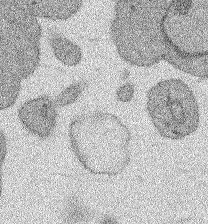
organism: Human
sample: HeLa cells